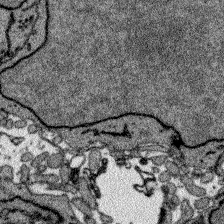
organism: Zebrafish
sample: Larval olfactory bulb